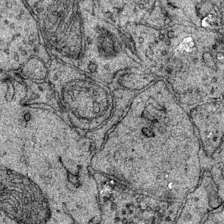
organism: Mouse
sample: Primary visual cortex